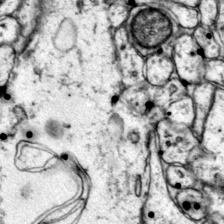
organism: Mouse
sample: Primary visual cortex